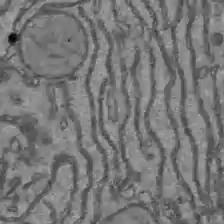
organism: C57BL Mouse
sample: Liver